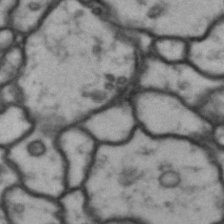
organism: Drosophila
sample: Brain